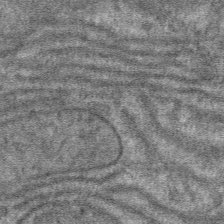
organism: Mouse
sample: Mouse hepatocytes